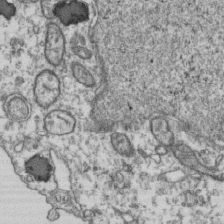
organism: Human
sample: Activated Jurkat CD4+ T cells